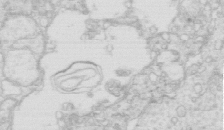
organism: Mouse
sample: Multiciliated cells